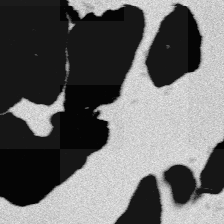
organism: Platynereis dumerilii